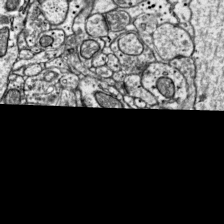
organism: Mouse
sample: Visual Cortex